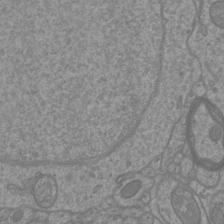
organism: Mouse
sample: Cortical neurons